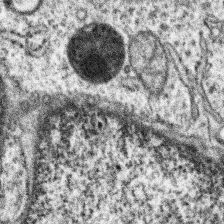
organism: Human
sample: HeLa cells